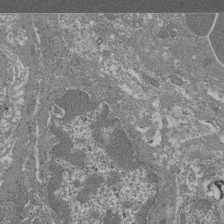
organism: Mouse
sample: Glomerulus